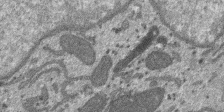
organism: Human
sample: Lung epithelial cells infected with SARS-CoV-2